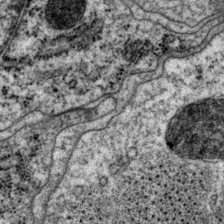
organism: P. pacificus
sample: Pharynx